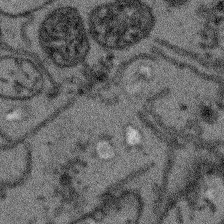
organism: Arabidopsis thaliana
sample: Root tip